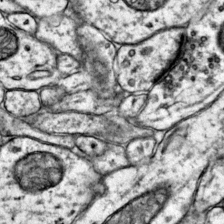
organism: Mouse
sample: Primary visual cortex